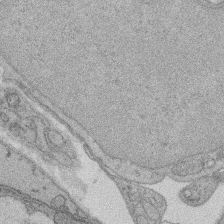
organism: Rat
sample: Salivary granule